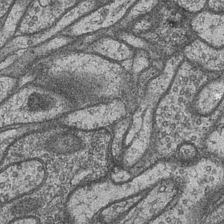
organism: Drosophila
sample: Optic medulla